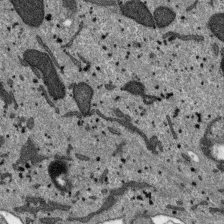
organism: Human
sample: Lung epithelial cells, uninfected (mock) control